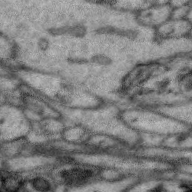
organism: Zebra finch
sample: Brain